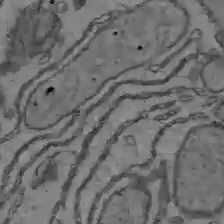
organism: C57BL Mouse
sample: Liver